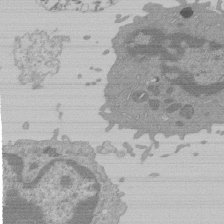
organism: Mouse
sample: Activated Pmel transgenic CD8+ T Cells